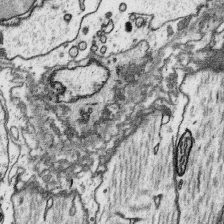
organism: Platynereis dumerilii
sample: Parapodia